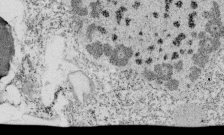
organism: Tetrahymena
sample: Cilia in tetrahymena